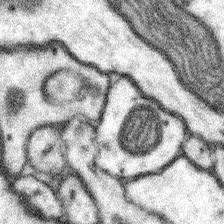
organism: Mouse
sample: Somatosensory cortex neuropil